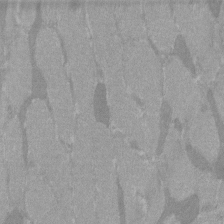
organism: C57BL Mouse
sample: Tibialis anterior muscle cell